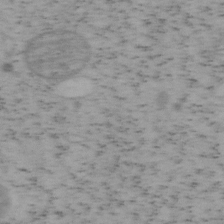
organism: Mouse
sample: OT-I killer T cells with ID8 ovarian cancer cells